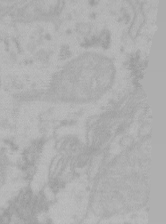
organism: Mouse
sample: Choroid plexus